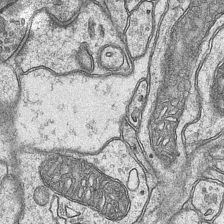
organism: Mouse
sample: CA1 Hippocampus